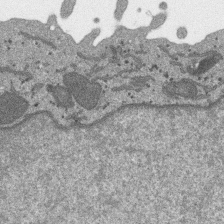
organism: Human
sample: Lung epithelial cells infected with SARS-CoV-2